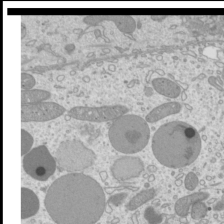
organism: Mouse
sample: Cilia; mouse epididymis